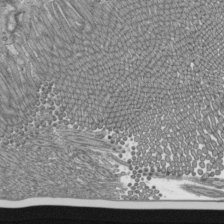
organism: Mouse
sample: Mouse epididymis efferent ductule cilia